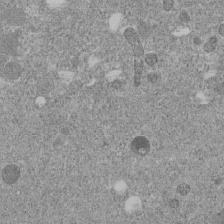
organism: C. elegans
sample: C. elegans embryo early stage